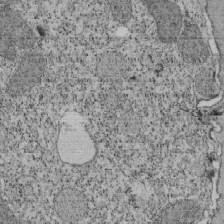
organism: Tetrahymena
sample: Cilia in tetrahymena